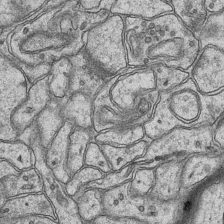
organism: Mouse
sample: CA1 Hippocampus